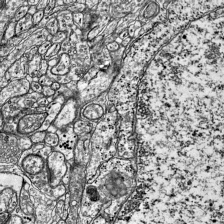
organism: Mouse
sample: Visual Cortex